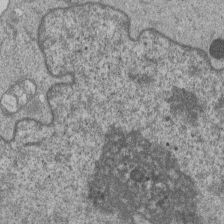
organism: Human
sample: MDA-MB-231 cells